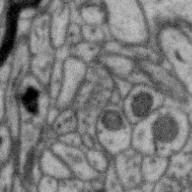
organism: Zebra finch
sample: Brain